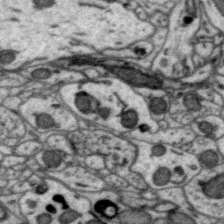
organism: Zebra finch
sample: Brain